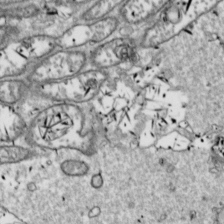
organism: Drosophila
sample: Cell division; meiosis; drosophila spermatocytes